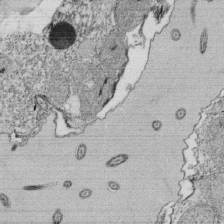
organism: Tetrahymena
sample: Cilia in tetrahymena